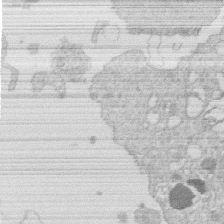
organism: Human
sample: Macrophage cells